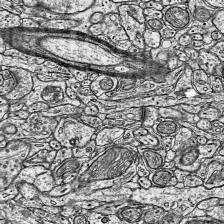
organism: Mouse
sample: Visual Cortex